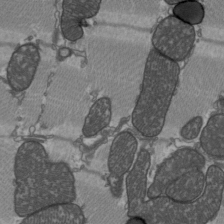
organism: C57BL Mouse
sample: Heart